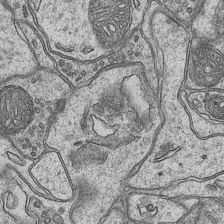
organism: Mouse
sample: CA1 Hippocampus